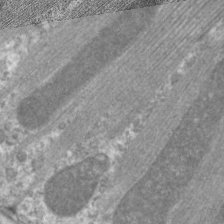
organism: C. elegans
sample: Pharynx